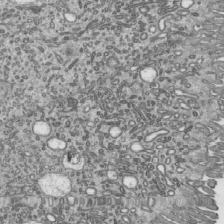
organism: Mouse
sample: Mouse epididymis efferent ductule cilia